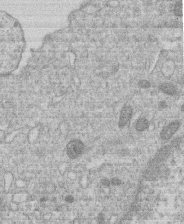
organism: Human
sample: Macrophage cells